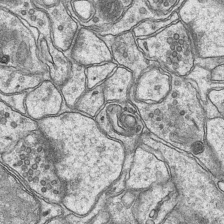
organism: Mouse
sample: CA1 Hippocampus